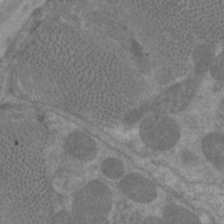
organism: C. elegans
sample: Pharynx